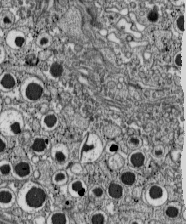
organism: C57BL Mouse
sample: Pancreatic islet